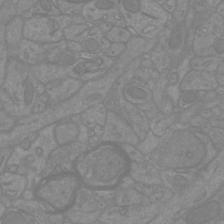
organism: Mouse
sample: Cortical neurons